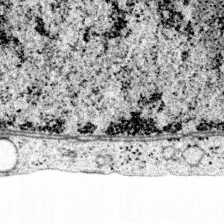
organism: Human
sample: HeLa cells